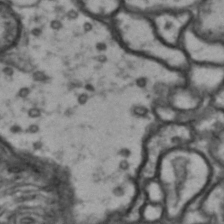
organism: Drosophila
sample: Brain